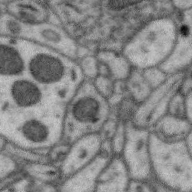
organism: Zebra finch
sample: Brain